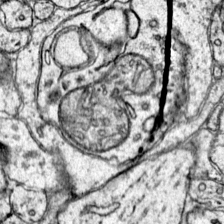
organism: Mouse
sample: Primary visual cortex